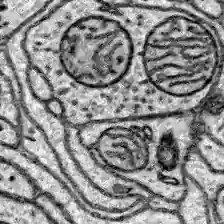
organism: Zebrafish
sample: Brain